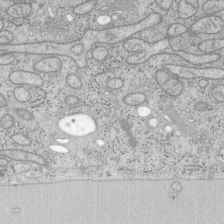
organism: Mouse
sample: OT-I killer T cells with ID8 ovarian cancer cells